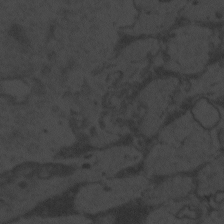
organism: Zebrafish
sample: Macrophage infected with Toxoplasma gondii